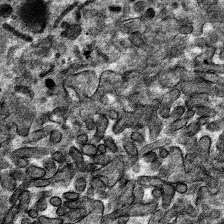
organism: Mouse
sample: Mouse hepatocytes